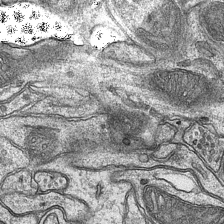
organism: Mouse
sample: CA1 Hippocampus